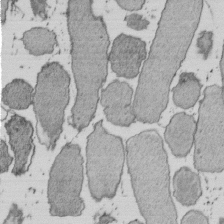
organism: E. coli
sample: Bacterial nucleoid